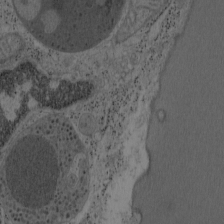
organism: Mouse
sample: OT-I killer T cells with ID8 ovarian cancer cells